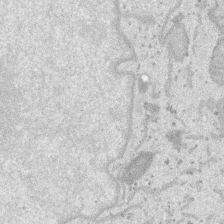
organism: Human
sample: Lung epithelial cells infected with SARS-CoV-2